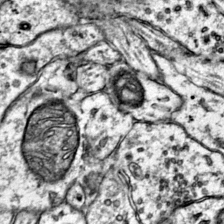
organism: Mouse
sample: Primary visual cortex